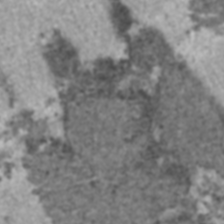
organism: C57BL Mouse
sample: Heart